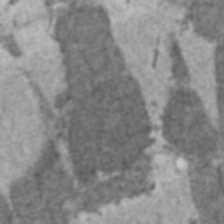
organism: C57BL Mouse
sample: Heart